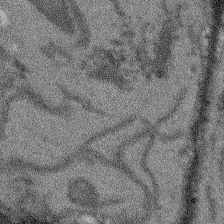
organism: Arabidopsis thaliana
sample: Root tip